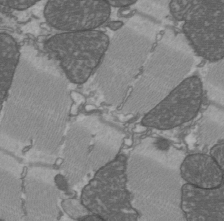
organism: C57BL Mouse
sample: Heart